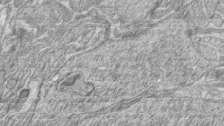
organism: Zebrafish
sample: synaptic ribbons in rod cells and cone cells